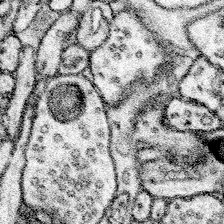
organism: Mouse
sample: Somatosensory cortex neuropil